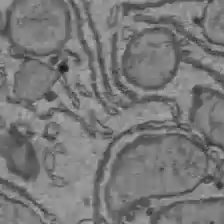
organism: C57BL Mouse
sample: Liver